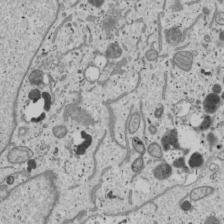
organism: Human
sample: Mitochondria in U2OS cells